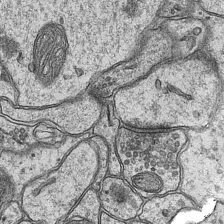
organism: Mouse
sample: CA1 Hippocampus